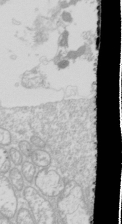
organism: Drosophila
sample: Cell division; meiosis; drosophila spermatocytes